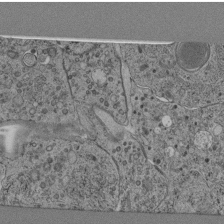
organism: C. elegans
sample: C. elegans pharynx